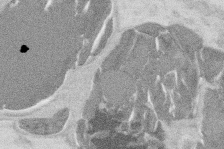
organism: Mouse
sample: T cell stromal cell synapse